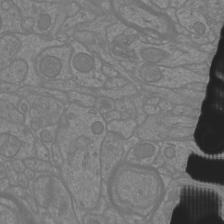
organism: Mouse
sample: Cortical neurons